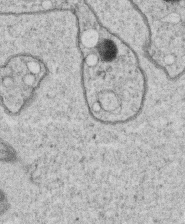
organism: C. elegans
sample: C. elegans oocyte; sperm cells